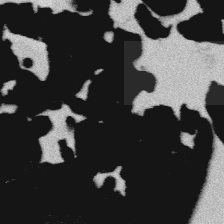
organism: Platynereis dumerilii